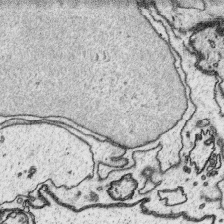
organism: Platynereis dumerilii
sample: Parapodia